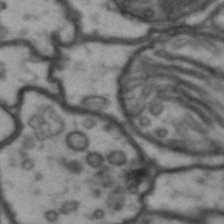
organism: Drosophila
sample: Brain